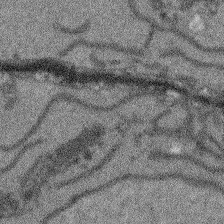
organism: Arabidopsis thaliana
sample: Root tip